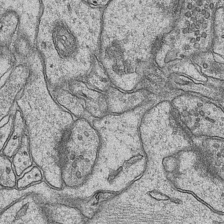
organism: Mouse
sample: CA1 Hippocampus